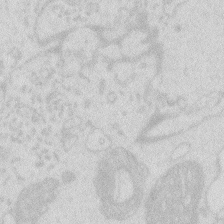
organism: Zebrafish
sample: Macrophage